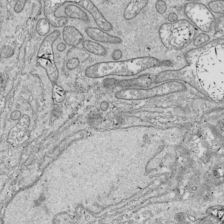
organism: Drosophila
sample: Cell division; meiosis; drosophila spermatocytes